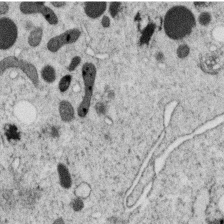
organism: C. elegans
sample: C. elegans oocyte; sperm cells